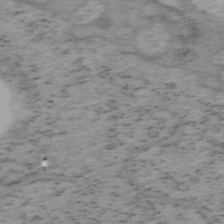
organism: Mouse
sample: OT-I killer T cells with ID8 ovarian cancer cells